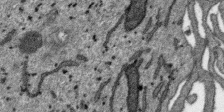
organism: Human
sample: Lung epithelial cells, uninfected (mock) control